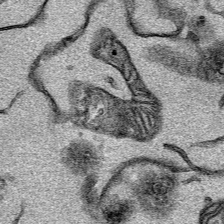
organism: Mouse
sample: Cancer cell death in ED-1 cells